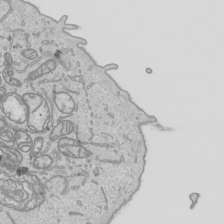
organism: Human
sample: Mitochondria in HCT116 cells